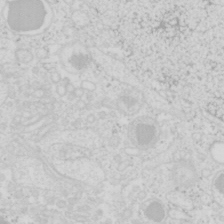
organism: Mouse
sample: Pancreas